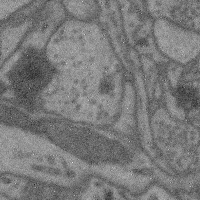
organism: Mouse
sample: Cerebral cortex